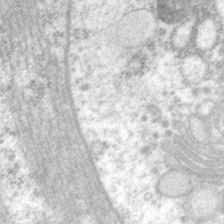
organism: P. pacificus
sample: Pharynx